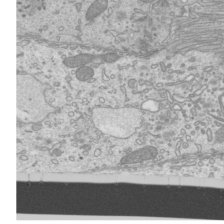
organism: Mouse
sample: Cilia; mouse epididymis